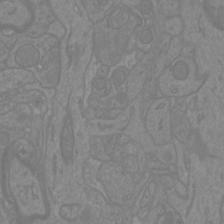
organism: Mouse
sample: Cortical neurons